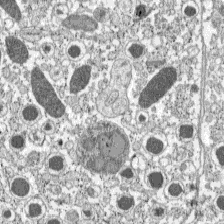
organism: C57BL Mouse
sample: Pancreatic islet